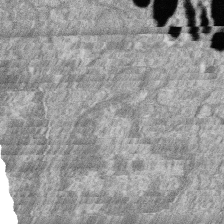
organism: Zebrafish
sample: Cilia; retinal pigment epithelium